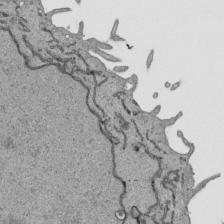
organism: Human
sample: Mitochondria in HCT116 cells